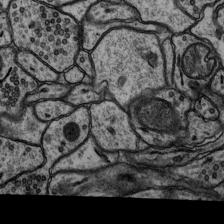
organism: Rat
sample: Hippocampus